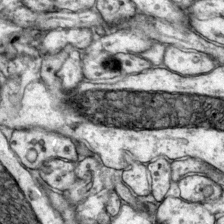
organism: Mouse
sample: Primary visual cortex